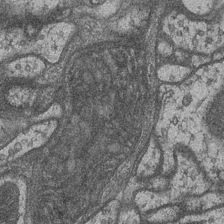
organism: Drosophila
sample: Optic medulla